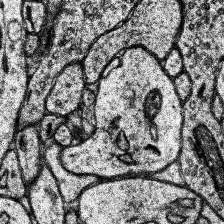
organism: Human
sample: Temporal Lobe